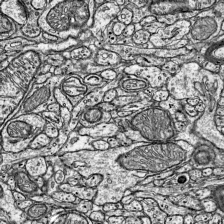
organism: Mouse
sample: Visual Cortex